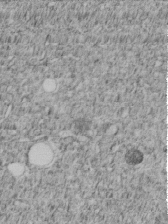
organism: C. elegans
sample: C. elegans embryo early stage